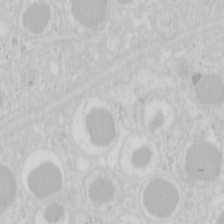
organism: Mouse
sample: Pancreas